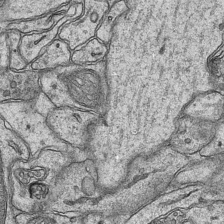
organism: Mouse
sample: CA1 Hippocampus